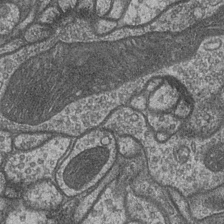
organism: Drosophila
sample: Optic medulla